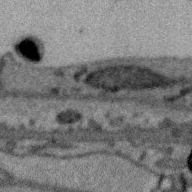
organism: Zebra finch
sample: Brain